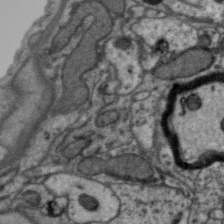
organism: Zebra finch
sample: Brain